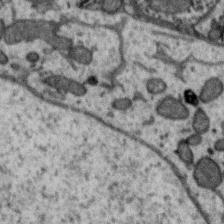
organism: Zebra finch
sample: Brain